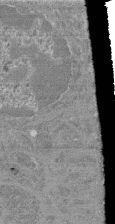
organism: Mouse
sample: Glomerulus